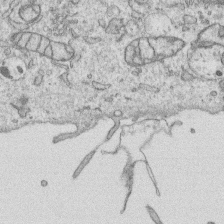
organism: Human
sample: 1205lu cells